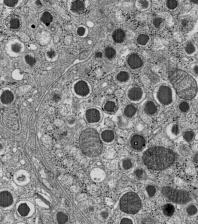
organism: C57BL Mouse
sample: Pancreatic islet